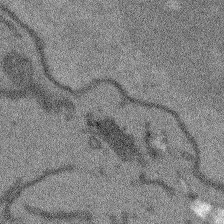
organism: Arabidopsis thaliana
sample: Root tip